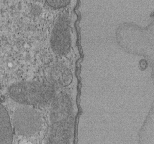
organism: Tetrahymena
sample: Cilia in tetrahymena